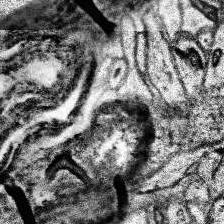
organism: Human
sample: Temporal Lobe